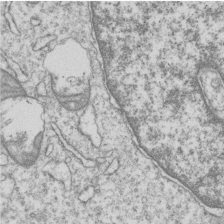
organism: Human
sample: MDA-MB-231 cells